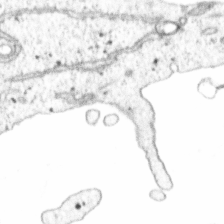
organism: Human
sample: HeLa cells